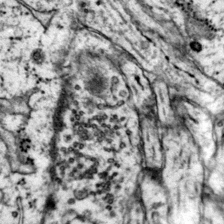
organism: Mouse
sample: Primary visual cortex